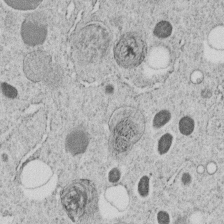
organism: C. elegans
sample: C. elegans embryo early stage